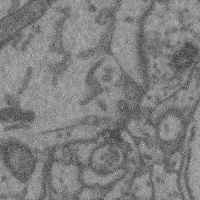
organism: Mouse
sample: Cerebral cortex